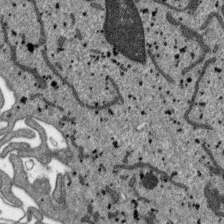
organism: Human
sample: Lung epithelial cells, uninfected (mock) control